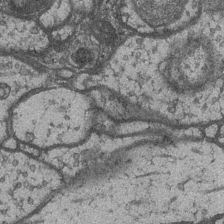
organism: Drosophila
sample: Optic medulla